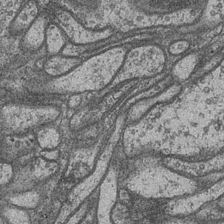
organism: Drosophila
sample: Optic medulla